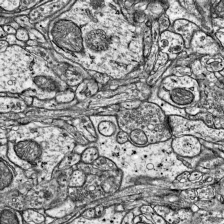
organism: Mouse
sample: Visual Cortex